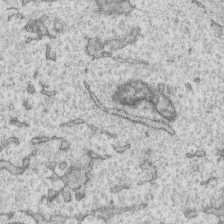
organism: Human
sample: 1205lu cells